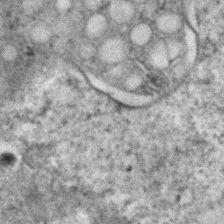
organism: C. elegans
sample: C. elegans embryo